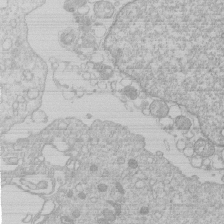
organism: Human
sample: Macrophage cells